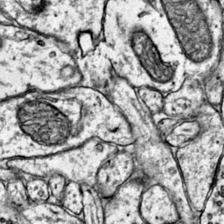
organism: Mouse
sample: Primary visual cortex